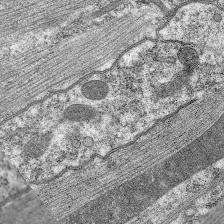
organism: C. elegans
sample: Pharynx